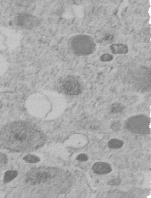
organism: C. elegans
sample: C. elegans embryo early stage